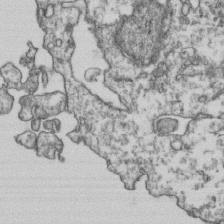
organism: Human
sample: Activated Jurkat CD4+ T cells